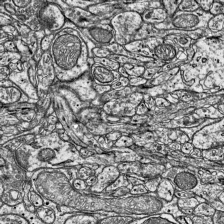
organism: Mouse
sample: Visual Cortex